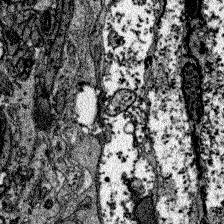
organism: Zebrafish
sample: Larval olfactory bulb